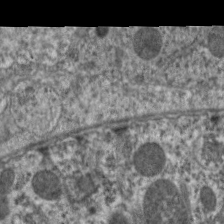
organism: C. elegans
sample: Pharynx